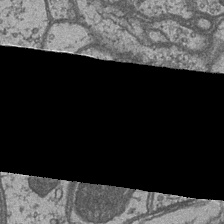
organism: Drosophila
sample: Optic medulla